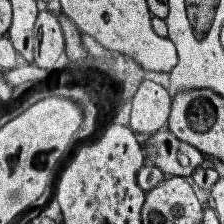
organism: Human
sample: Temporal Lobe